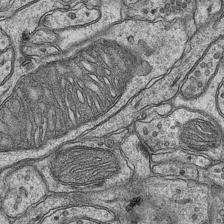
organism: Mouse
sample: CA1 Hippocampus